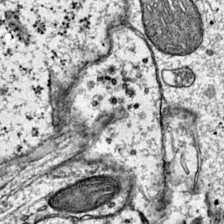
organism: Mouse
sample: Primary visual cortex